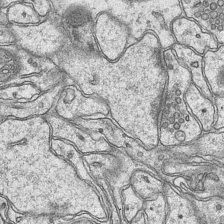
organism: Mouse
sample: CA1 Hippocampus